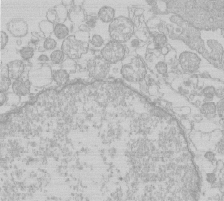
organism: Human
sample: Macrophage cells